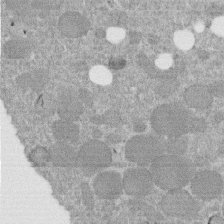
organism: C. elegans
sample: C. elegans embryo early stage